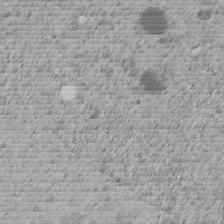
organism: C. elegans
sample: C. elegans embryo early stage